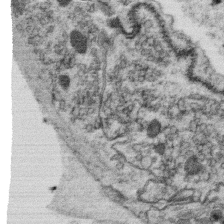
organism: C. elegans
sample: C. elegans oocyte; sperm cells